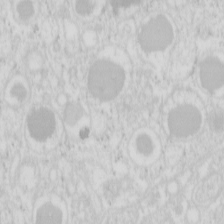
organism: Mouse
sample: Pancreas